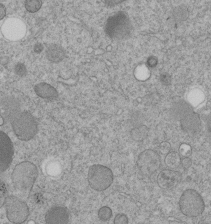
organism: C. elegans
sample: C. elegans embryo early stage